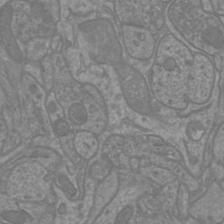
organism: Mouse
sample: Cortical neurons